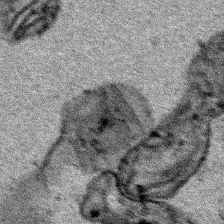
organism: Human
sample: Mitochondria in HCT116 cells